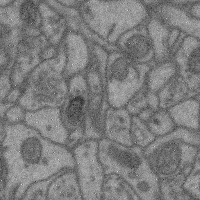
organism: Mouse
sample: Cerebral cortex